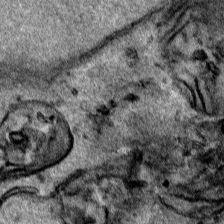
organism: Human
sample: Mitochondria in HCT116 cells